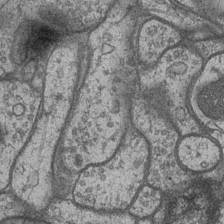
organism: Drosophila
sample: Optic medulla